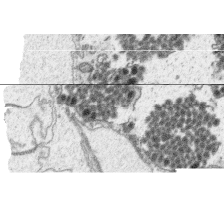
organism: Platynereis dumerilii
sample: Parapodia